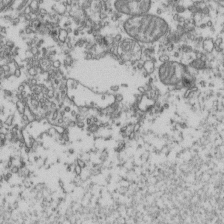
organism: Human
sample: Activated Jurkat CD4+ T cells